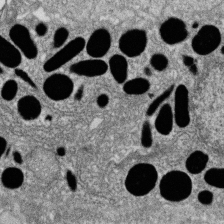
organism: Zebrafish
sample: Cilia; retinal pigment epithelium